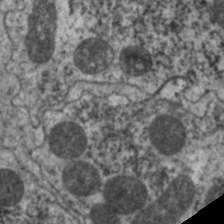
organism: C. elegans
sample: Pharynx